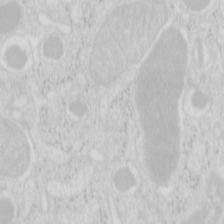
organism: Mouse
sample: Pancreas